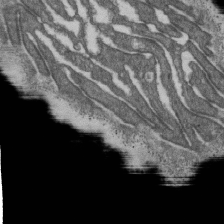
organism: Drosophila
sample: Nephrocyte